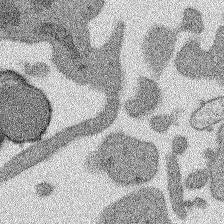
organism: Human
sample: HeLa cells